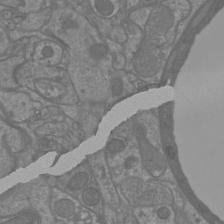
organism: Mouse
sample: Cortical neurons